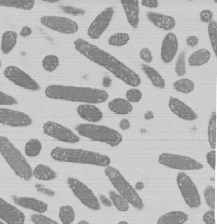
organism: E. coli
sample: Bacterial nucleoid